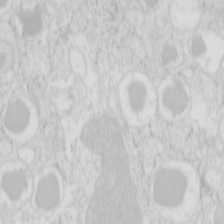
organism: Mouse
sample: Pancreas